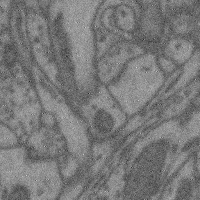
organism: Mouse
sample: Cerebral cortex